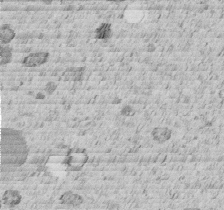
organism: C. elegans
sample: C. elegans embryo early stage